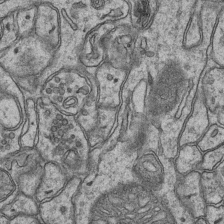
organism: Mouse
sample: CA1 Hippocampus